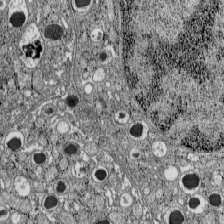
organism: C57BL Mouse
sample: Pancreatic islet